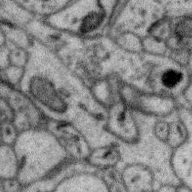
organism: Zebra finch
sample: Brain